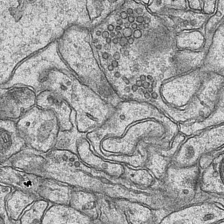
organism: Mouse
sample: CA1 Hippocampus